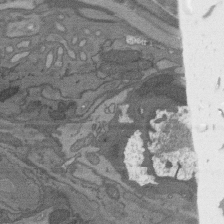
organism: C. elegans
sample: AFD neurons C. elegans